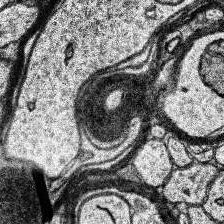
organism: Human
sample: Temporal Lobe